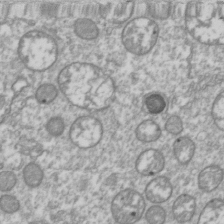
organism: Drosophila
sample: Cell division; meiosis; drosophila spermatocytes